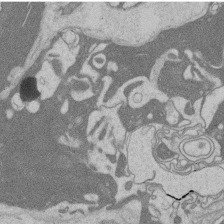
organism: Rat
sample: Salivary granule